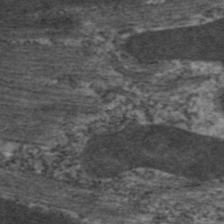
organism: C. elegans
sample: Pharynx